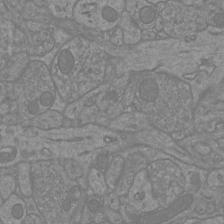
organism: Mouse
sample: Cortical neurons